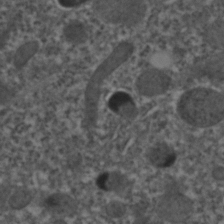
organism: C. elegans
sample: C. elegans embryo